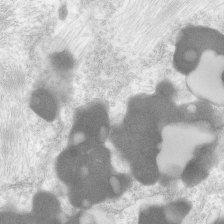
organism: Human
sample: Neocortex